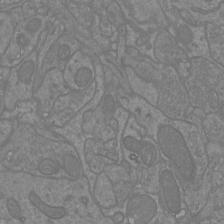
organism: Mouse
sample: Cortical neurons